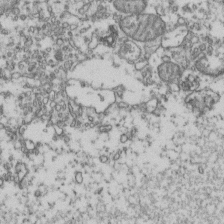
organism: Human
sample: Activated Jurkat CD4+ T cells